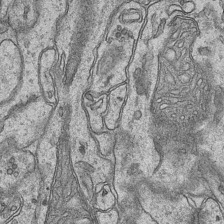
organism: Mouse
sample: CA1 Hippocampus